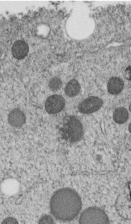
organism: C. elegans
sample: C. elegans embryo early stage